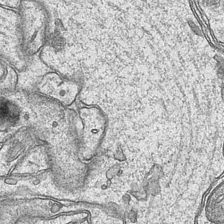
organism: Mouse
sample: CA1 Hippocampus